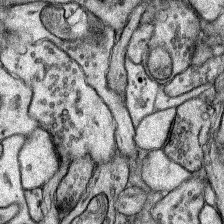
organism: Rat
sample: Hippocampus